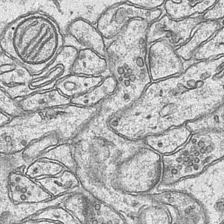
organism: Mouse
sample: CA1 Hippocampus